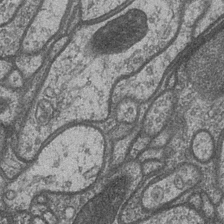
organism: Drosophila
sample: Optic medulla